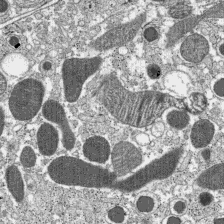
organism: C57BL Mouse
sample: Pancreatic islet